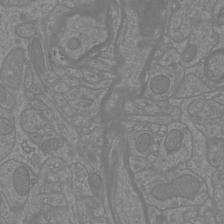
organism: Mouse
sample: Cortical neurons